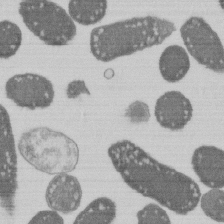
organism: E. coli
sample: Bacterial nucleoid